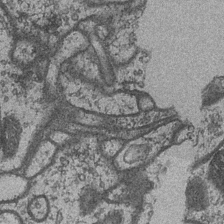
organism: Drosophila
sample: Optic medulla